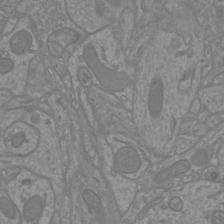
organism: Mouse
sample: Cortical neurons